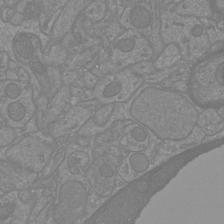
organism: Mouse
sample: Cortical neurons